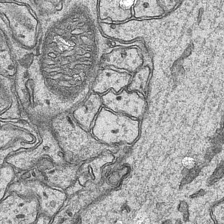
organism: Mouse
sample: CA1 Hippocampus